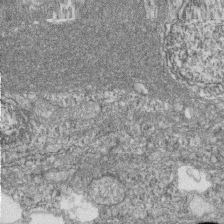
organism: Zebrafish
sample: Cilia; retinal pigment epithelium